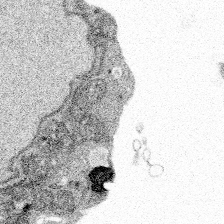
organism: Spongilla lacustris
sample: Multiple